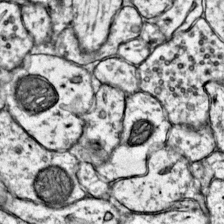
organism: Mouse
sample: Primary visual cortex